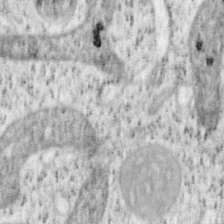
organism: Mouse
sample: OT-I killer T cells with ID8 ovarian cancer cells